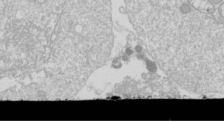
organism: Drosophila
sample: Cell division; meiosis; drosophila spermatocytes